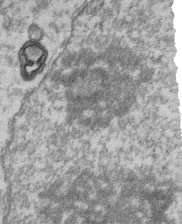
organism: Mouse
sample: T cell stromal cell synapse